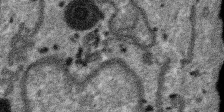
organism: Human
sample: Lung epithelial cells infected with SARS-CoV-2